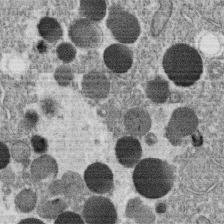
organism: C. elegans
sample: C. elegans oocyte; sperm cells